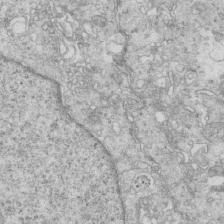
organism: Mouse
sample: Multiciliated cells